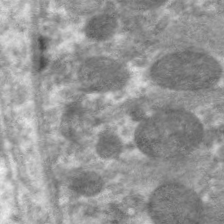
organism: C. elegans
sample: Pharynx